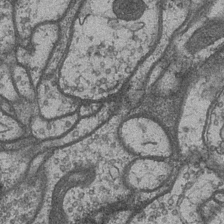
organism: Drosophila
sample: Optic medulla